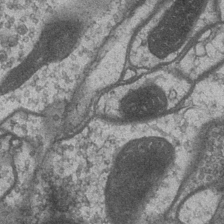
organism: Drosophila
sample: Optic medulla